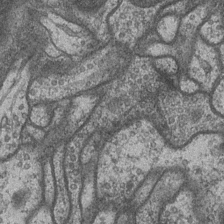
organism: Drosophila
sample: Optic medulla